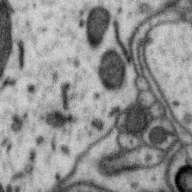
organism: Zebra finch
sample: Brain